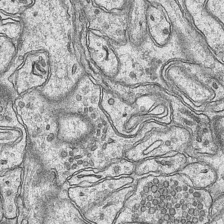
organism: Mouse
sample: CA1 Hippocampus